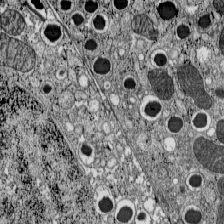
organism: C57BL Mouse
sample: Pancreatic islet